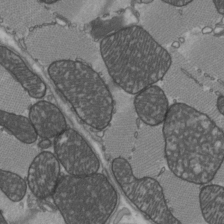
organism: C57BL Mouse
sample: Heart